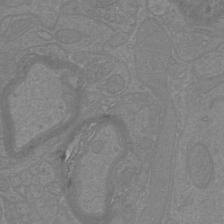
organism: Mouse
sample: Cortical neurons